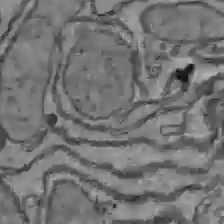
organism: C57BL Mouse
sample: Liver